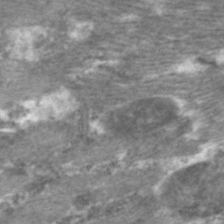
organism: C. elegans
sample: Pharynx